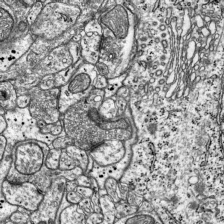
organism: Mouse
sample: Visual Cortex